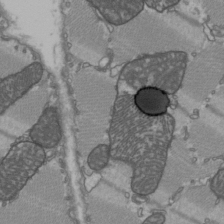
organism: C57BL Mouse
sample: Heart